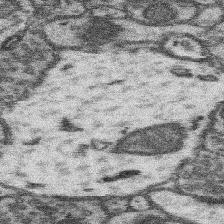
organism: Mouse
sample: Somatosensory cortex neuropil